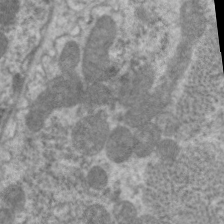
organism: C. elegans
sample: Pharynx